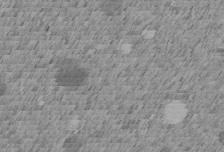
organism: C. elegans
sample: C. elegans embryo early stage